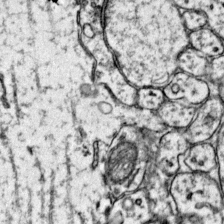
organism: Mouse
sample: Primary visual cortex